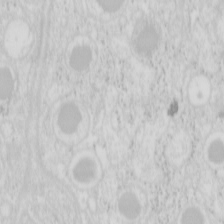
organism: Mouse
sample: Pancreas